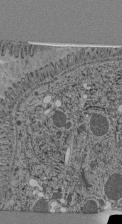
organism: C. elegans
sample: C. elegans pharynx